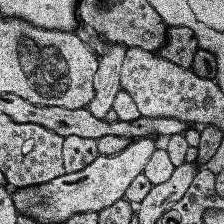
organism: Human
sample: Temporal Lobe